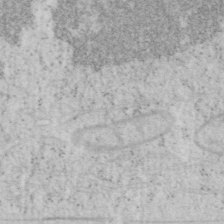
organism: Human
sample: HeLa cells